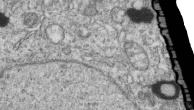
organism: Human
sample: HeLa cell HIV synapse